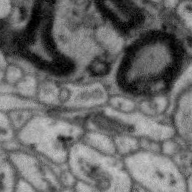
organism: Zebra finch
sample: Brain